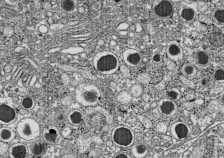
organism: C57BL Mouse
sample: Pancreatic islet